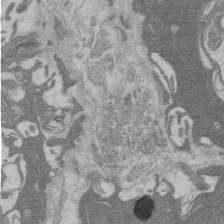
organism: Rat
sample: Salivary granule